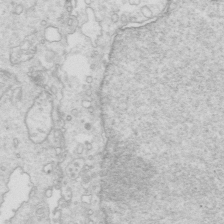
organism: Mouse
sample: Multiciliated cells